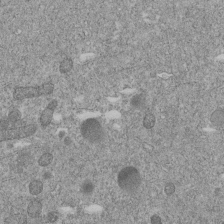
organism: C. elegans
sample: C. elegans embryo early stage